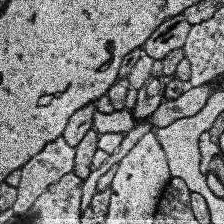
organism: Human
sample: Temporal Lobe